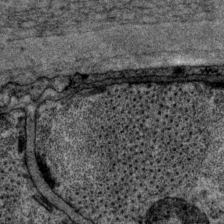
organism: P. pacificus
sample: Pharynx